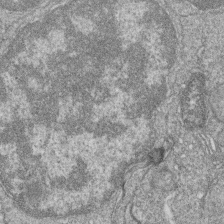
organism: Zebrafish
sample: Cilia; retinal pigment epithelium